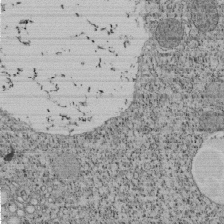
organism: Tetrahymena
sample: Cilia in tetrahymena